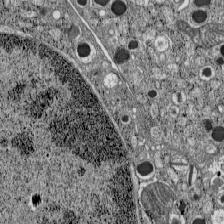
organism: C57BL Mouse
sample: Pancreatic islet